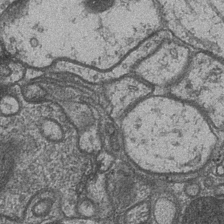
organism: Drosophila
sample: Optic medulla